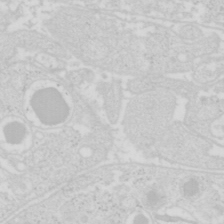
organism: Mouse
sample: Pancreas